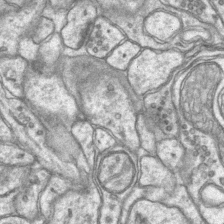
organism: Mouse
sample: CA1 Hippocampus